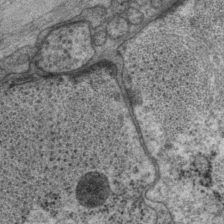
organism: P. pacificus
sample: Pharynx